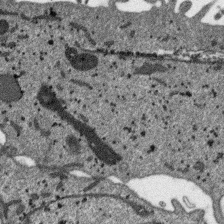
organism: Human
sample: Lung epithelial cells infected with SARS-CoV-2